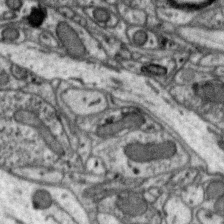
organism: Zebra finch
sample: Brain